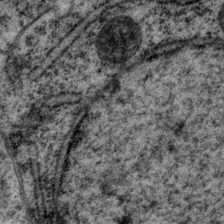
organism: P. pacificus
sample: Pharynx